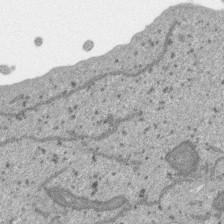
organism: Human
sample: Lung epithelial cells infected with SARS-CoV-2